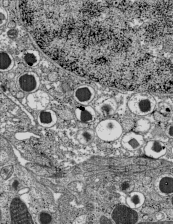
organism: C57BL Mouse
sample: Pancreatic islet